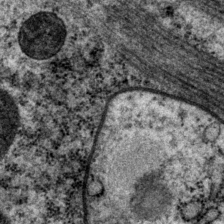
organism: P. pacificus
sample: Pharynx